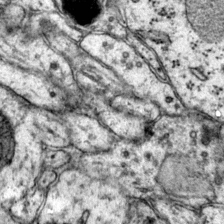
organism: Mouse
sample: Primary visual cortex